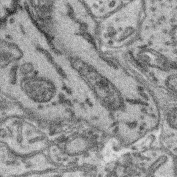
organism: Mouse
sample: Retina